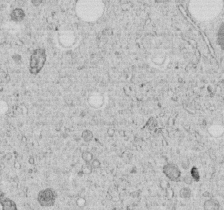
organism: C. elegans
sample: C. elegans embryo early stage